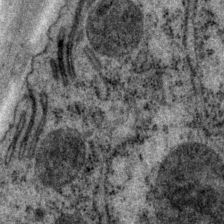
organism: P. pacificus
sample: Pharynx